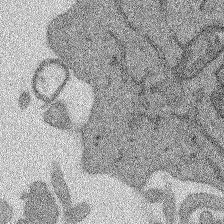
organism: Human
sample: HeLa cells